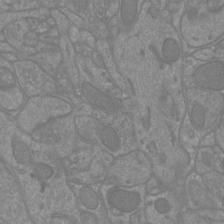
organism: Mouse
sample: Cortical neurons